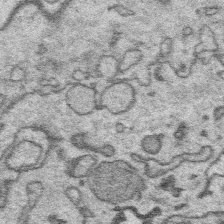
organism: Platynereis dumerilii